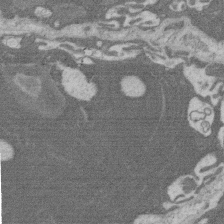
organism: Rat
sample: Salivary granule